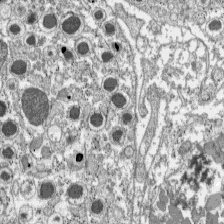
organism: C57BL Mouse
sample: Pancreatic islet